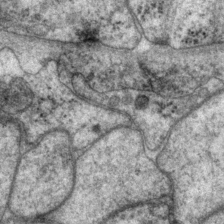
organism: P. pacificus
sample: Pharynx